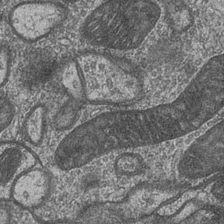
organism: Drosophila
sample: Optic medulla